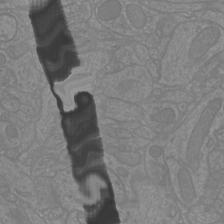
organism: Mouse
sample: Cortical neurons